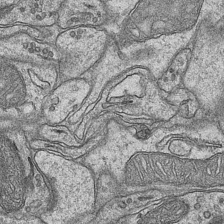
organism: Mouse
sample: CA1 Hippocampus